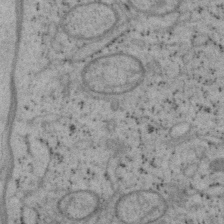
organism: Human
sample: HeLa cells